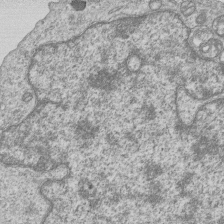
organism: Human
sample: MDA-MB-231 cells